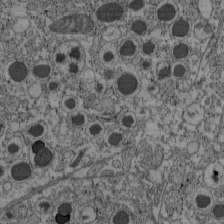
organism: C57BL Mouse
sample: Pancreatic islet